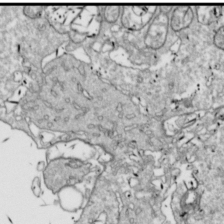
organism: Drosophila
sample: Cell division; meiosis; drosophila spermatocytes